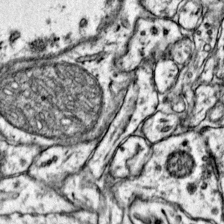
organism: Mouse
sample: Primary visual cortex